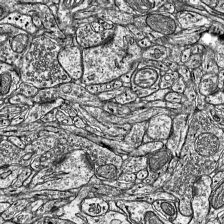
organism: Mouse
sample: Visual Cortex